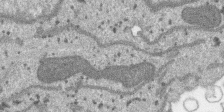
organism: Human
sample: Lung epithelial cells infected with SARS-CoV-2